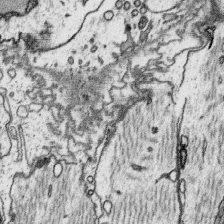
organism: Platynereis dumerilii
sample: Parapodia